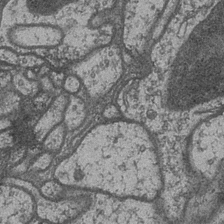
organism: Drosophila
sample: Optic medulla